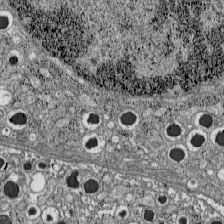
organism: C57BL Mouse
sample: Pancreatic islet